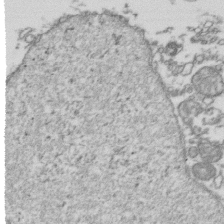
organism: Human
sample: Activated Jurkat CD4+ T cells